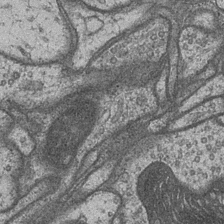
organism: Drosophila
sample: Optic medulla